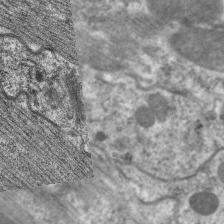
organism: C. elegans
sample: Pharynx